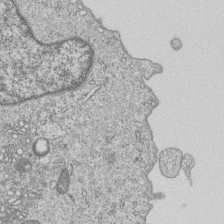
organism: Human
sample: MDA-MB-231 cells